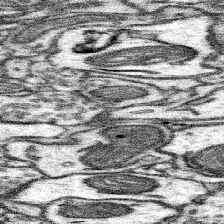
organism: Mouse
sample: Somatosensory cortex neuropil